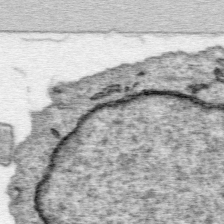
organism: Human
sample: HeLa cells